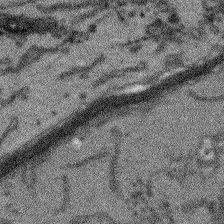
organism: Arabidopsis thaliana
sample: Root tip